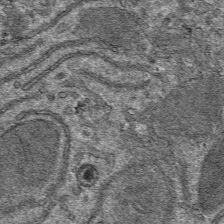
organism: Mouse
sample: Mouse hepatocytes